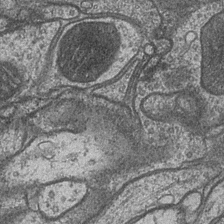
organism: Drosophila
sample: Optic medulla